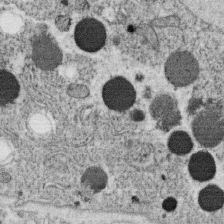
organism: C. elegans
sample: C. elegans oocyte; sperm cells